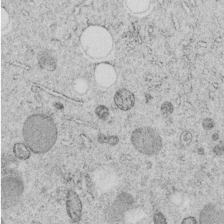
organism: C. elegans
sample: C. elegans embryo early stage